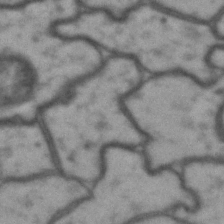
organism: Drosophila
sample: Brain